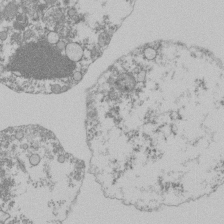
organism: Mouse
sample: Activated Pmel transgenic CD8+ T Cells